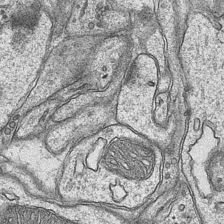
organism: Mouse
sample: CA1 Hippocampus